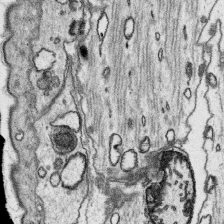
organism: Platynereis dumerilii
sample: Parapodia